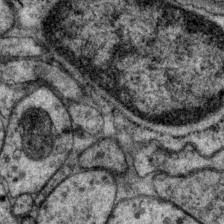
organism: P. pacificus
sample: Pharynx